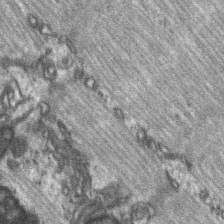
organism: C57BL Mouse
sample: Soleus